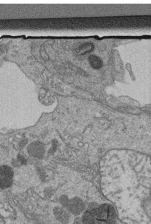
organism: Human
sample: Retinal organoid Rod and Cone cells